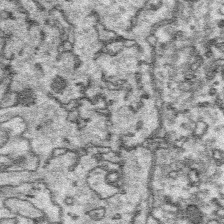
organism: Platynereis dumerilii